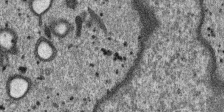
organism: Human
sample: Lung epithelial cells infected with SARS-CoV-2